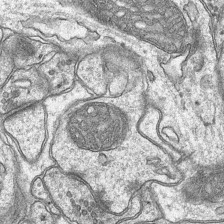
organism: Mouse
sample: CA1 Hippocampus